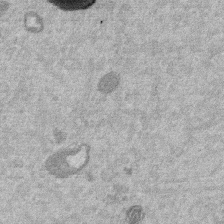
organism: Mouse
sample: Dividing mouse embryo 1 cell stage